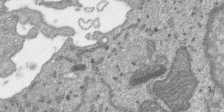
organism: Human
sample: Lung epithelial cells infected with SARS-CoV-2